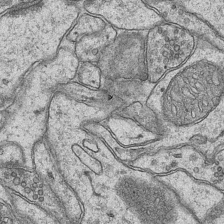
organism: Mouse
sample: CA1 Hippocampus